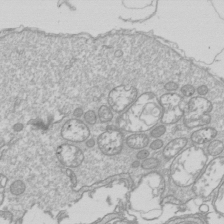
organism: Drosophila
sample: Cell division; meiosis; drosophila spermatocytes